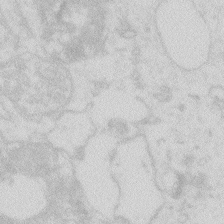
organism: Zebrafish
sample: Macrophage